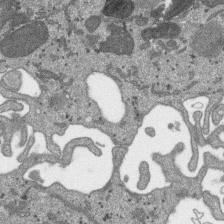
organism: Human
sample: Lung epithelial cells infected with SARS-CoV-2